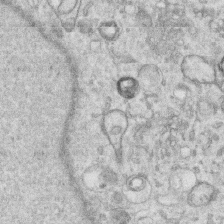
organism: Human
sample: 1205lu cells